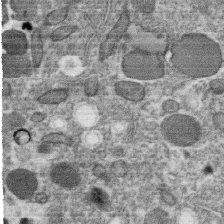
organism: C. elegans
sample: C. elegans oocyte; sperm cells